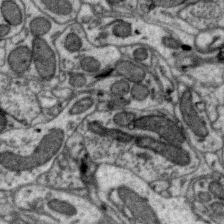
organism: Zebra finch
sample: Brain